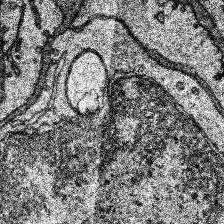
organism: Human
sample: Temporal Lobe